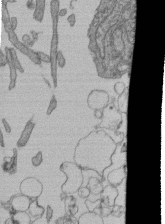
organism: Human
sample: Retinal organoid Rod and Cone cells